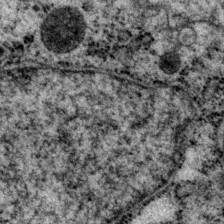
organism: P. pacificus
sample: Pharynx